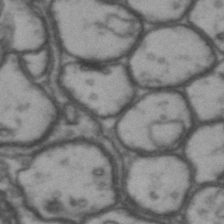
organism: Drosophila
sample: Brain